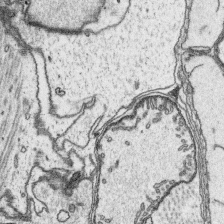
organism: Platynereis dumerilii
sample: Parapodia